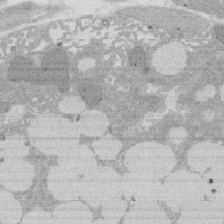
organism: Rat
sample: Salivary granule